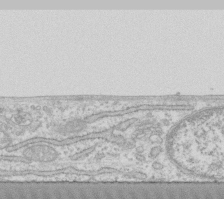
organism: Human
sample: Fibroblast cells